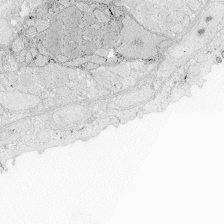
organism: Zebrafish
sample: Whole-Brain